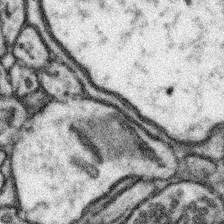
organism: Mouse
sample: Somatosensory cortex neuropil